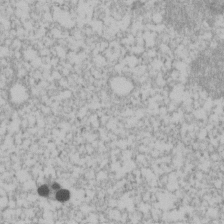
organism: Human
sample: U2-OS cells